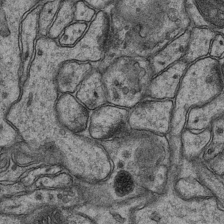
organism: Mouse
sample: CA1 Hippocampus